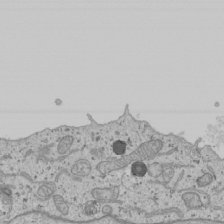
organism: Human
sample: Mitochondria in U2OS cells